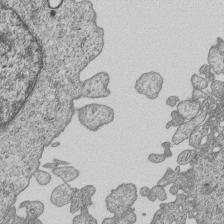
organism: Human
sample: MDA-MB-231 cells